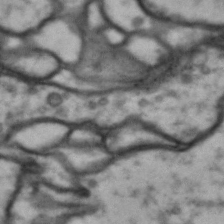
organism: Drosophila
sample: Brain